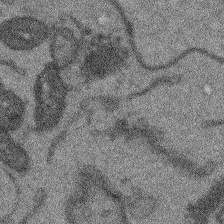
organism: Arabidopsis thaliana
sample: Root tip